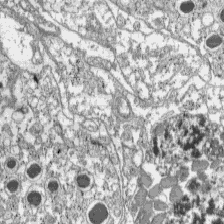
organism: C57BL Mouse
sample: Pancreatic islet